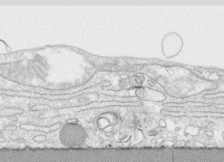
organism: Human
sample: CRL-1474